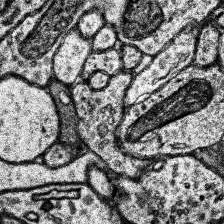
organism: Human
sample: Temporal Lobe